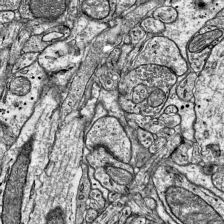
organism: Mouse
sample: Visual Cortex